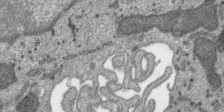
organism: Human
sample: Lung epithelial cells infected with SARS-CoV-2